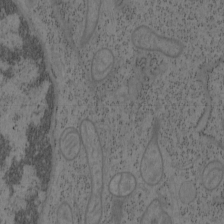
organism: Mouse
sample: OT-I killer T cells with ID8 ovarian cancer cells